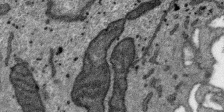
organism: Human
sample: Lung epithelial cells, uninfected (mock) control